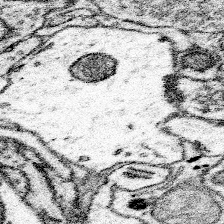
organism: Mouse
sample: Somatosensory cortex neuropil